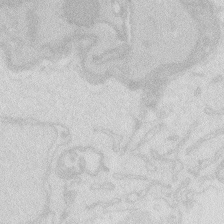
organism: Zebrafish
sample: Macrophage